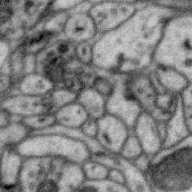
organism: Zebra finch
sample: Brain